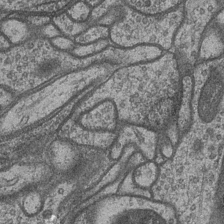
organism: Drosophila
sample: Optic medulla